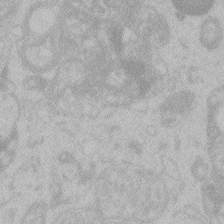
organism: Zebrafish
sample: Macrophage infected with Toxoplasma gondii